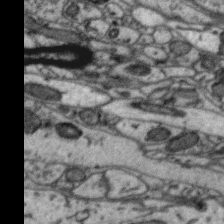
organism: Zebra finch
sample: Brain